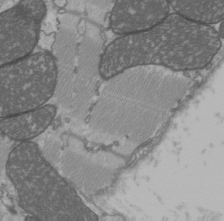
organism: C57BL Mouse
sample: Heart